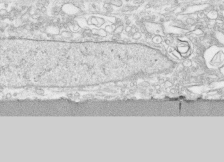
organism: Human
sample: CRL-1474